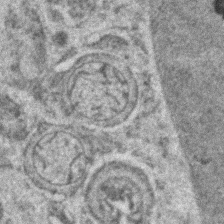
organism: Zebrafish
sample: Zebrafish embryo